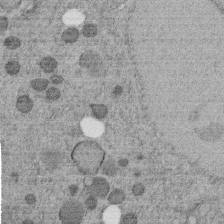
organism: C. elegans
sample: C. elegans embryo early stage